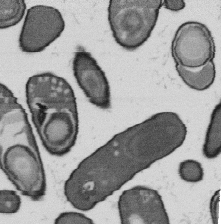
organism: B. subtilis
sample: Bacterial spore